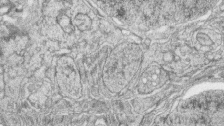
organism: Zebrafish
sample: synaptic ribbons in rod cells and cone cells